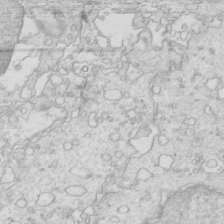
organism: Mouse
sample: Multiciliated cells